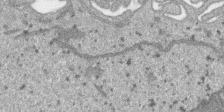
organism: Human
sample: Lung epithelial cells infected with SARS-CoV-2